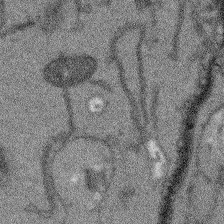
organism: Arabidopsis thaliana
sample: Root tip